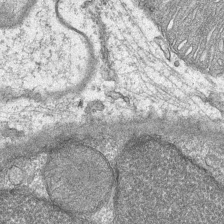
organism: Mouse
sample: CA1 Hippocampus